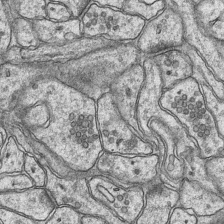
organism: Mouse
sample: CA1 Hippocampus